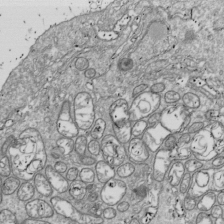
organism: Drosophila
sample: Cell division; meiosis; drosophila spermatocytes